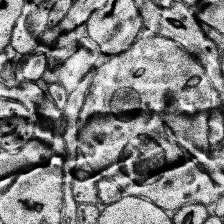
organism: Human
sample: Temporal Lobe